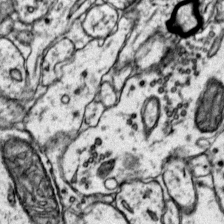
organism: Mouse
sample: Primary visual cortex